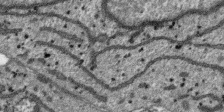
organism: Human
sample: Lung epithelial cells, uninfected (mock) control